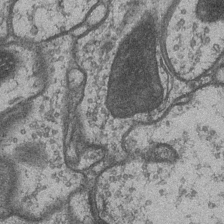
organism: Drosophila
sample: Optic medulla